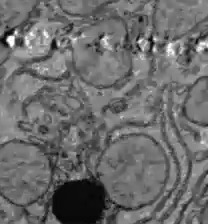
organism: C57BL Mouse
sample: Liver